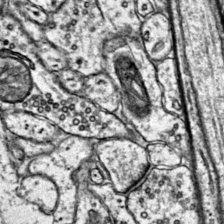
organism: Mouse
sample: Primary visual cortex